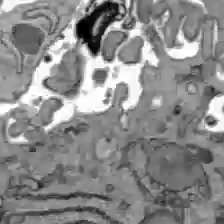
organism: C57BL Mouse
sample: Liver